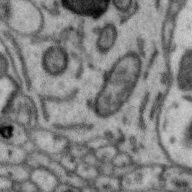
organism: Zebra finch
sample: Brain